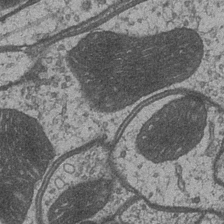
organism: Drosophila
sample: Optic medulla